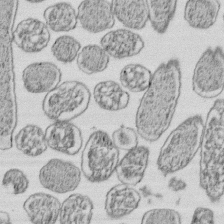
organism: E. coli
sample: Bacterial nucleoid